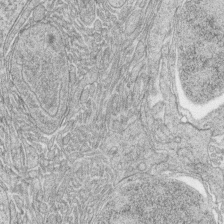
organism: Zebrafish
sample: synaptic ribbons in rod cells and cone cells